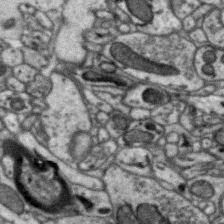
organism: Zebra finch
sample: Brain